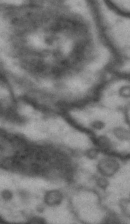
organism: Drosophila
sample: Brain